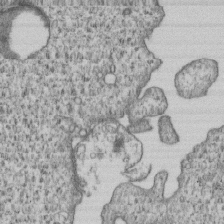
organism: Human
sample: MDA-MB-231 cells